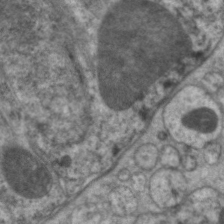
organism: C. elegans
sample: Pharynx